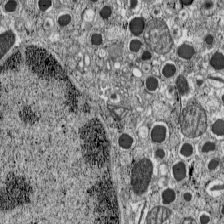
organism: C57BL Mouse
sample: Pancreatic islet